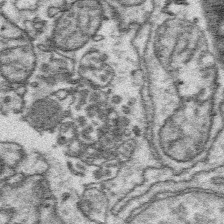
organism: Platynereis dumerilii